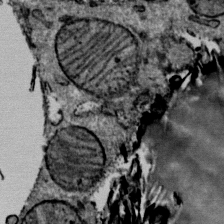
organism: Mouse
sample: Mouse Salivary gland